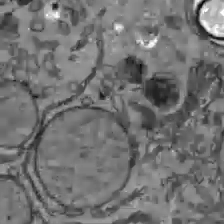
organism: C57BL Mouse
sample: Liver